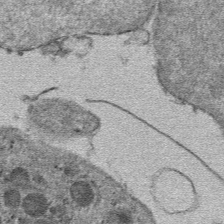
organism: Mouse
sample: Mouse hepatocytes